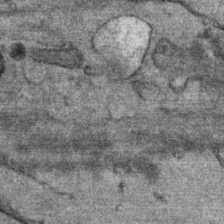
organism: Mouse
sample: Mouse Salivary gland